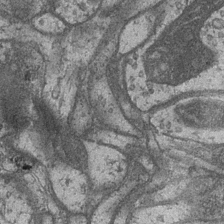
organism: Drosophila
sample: Optic medulla